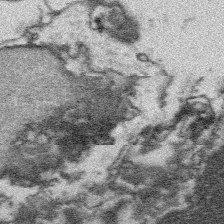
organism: Platynereis dumerilii